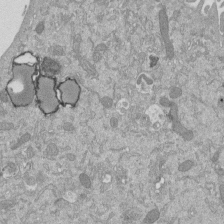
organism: Mouse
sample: ED-1 cell nuclei; centrioles